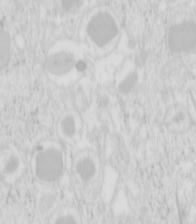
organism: Mouse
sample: Pancreas